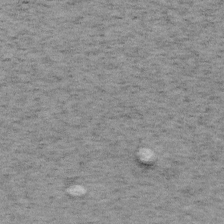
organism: Mouse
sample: OT-I killer T cells with ID8 ovarian cancer cells